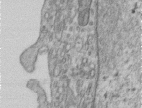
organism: Human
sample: Centriole in RPE cells